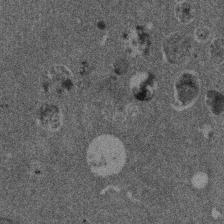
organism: Mouse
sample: Dividing mouse embryo 1 cell stage